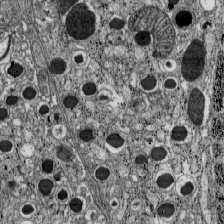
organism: C57BL Mouse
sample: Pancreatic islet